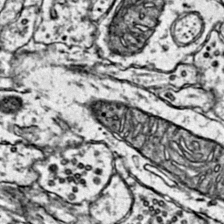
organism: Mouse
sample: Primary visual cortex